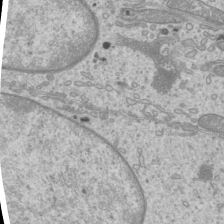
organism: Mouse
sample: Cilia; mouse epididymis